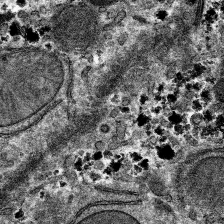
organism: Mouse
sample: Mouse hepatocytes